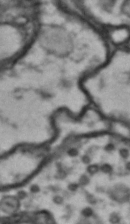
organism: Drosophila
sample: Brain